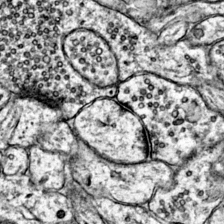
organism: Mouse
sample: Primary visual cortex